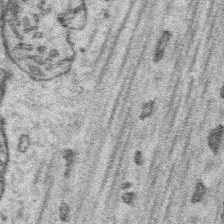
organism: Platynereis dumerilii